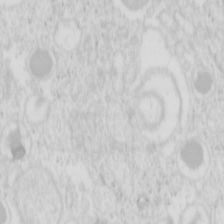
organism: Mouse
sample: Pancreas